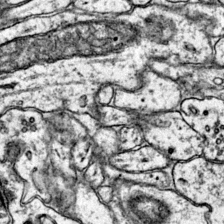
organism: Mouse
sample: Primary visual cortex